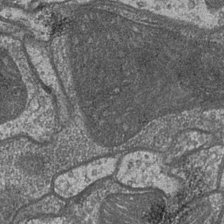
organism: Drosophila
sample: Optic medulla